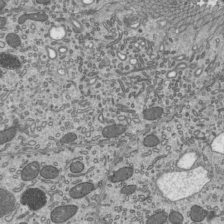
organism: Mouse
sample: Mouse epididymis efferent ductule cilia